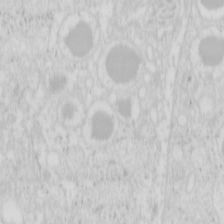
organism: Mouse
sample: Pancreas